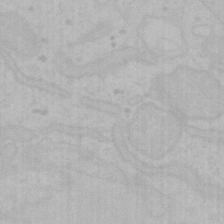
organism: Mouse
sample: Choroid plexus